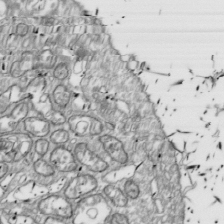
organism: Drosophila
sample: Cell division; meiosis; drosophila spermatocytes